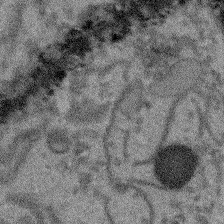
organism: Arabidopsis thaliana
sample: Root tip